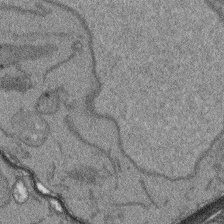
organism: Arabidopsis thaliana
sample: Root tip